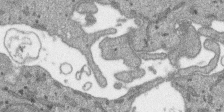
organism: Human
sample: Lung epithelial cells infected with SARS-CoV-2